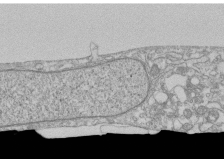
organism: Human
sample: CRL-1474